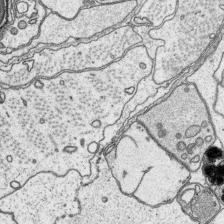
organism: Platynereis dumerilii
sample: Parapodia